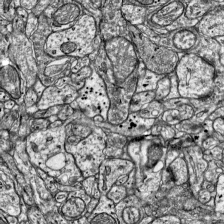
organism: Mouse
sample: Visual Cortex